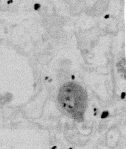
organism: Mouse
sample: T cell stromal cell synapse